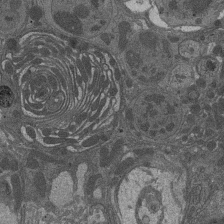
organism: Drosophila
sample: Antenna